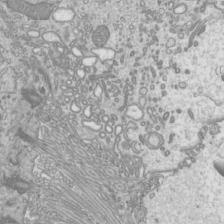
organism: Mouse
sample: Cilia; mouse epididymis